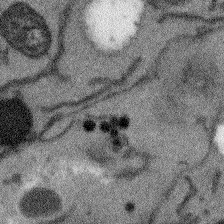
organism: Arabidopsis thaliana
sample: Root tip